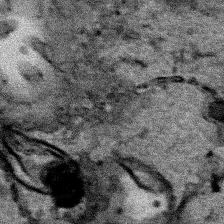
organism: Human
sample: Mitochondria in HCT116 cells